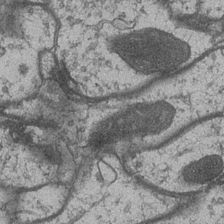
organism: Drosophila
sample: Optic medulla